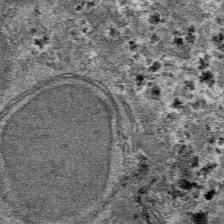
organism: Mouse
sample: Mouse hepatocytes